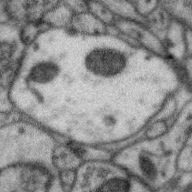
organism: Zebra finch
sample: Brain